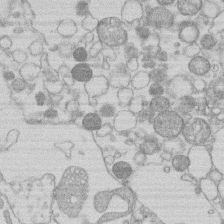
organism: Human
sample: Macrophage cells